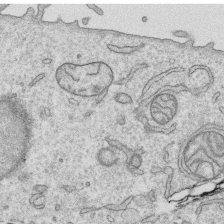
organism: Human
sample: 1205lu cells